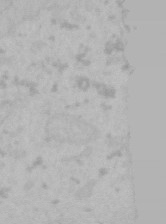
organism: Mouse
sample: Choroid plexus